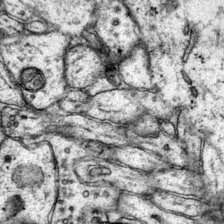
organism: Mouse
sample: Primary visual cortex